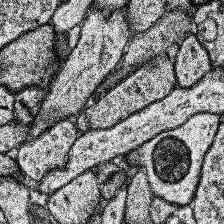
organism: Human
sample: Temporal Lobe